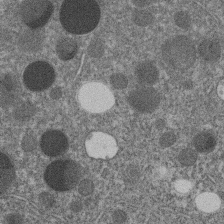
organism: C. elegans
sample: C. elegans embryo early stage